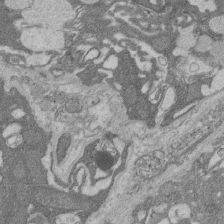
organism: Rat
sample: Salivary granule